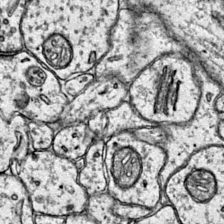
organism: Mouse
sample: Primary visual cortex